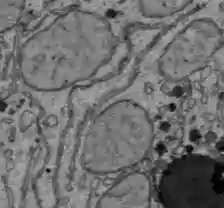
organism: C57BL Mouse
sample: Liver